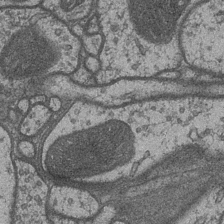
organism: Drosophila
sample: Optic medulla